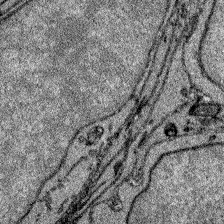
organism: Zebrafish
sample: Larval olfactory bulb